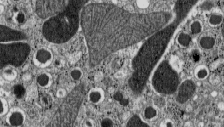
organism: C57BL Mouse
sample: Pancreatic islet